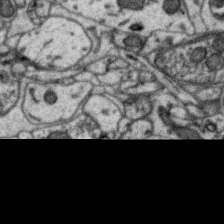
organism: Zebra finch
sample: Brain